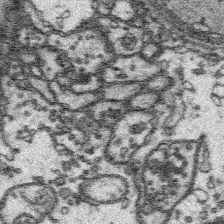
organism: Platynereis dumerilii